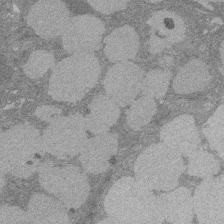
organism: Rat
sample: Salivary granule